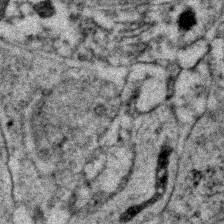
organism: Zebrafish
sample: Zebrafish embryo